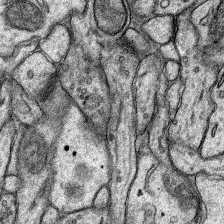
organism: Rat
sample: Hippocampus